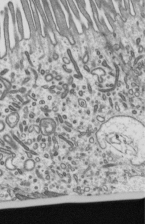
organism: Mouse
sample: Mouse epididymis efferent ductule cilia